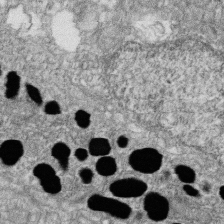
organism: Zebrafish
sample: Cilia; retinal pigment epithelium